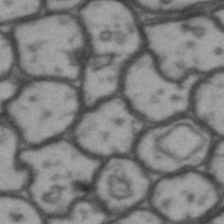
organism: Drosophila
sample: Brain